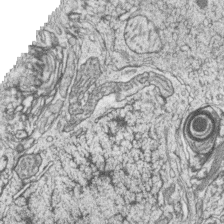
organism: Zebrafish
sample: synaptic ribbons in rod cells and cone cells